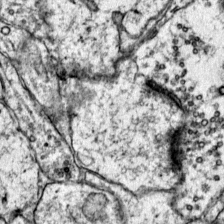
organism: Mouse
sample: Primary visual cortex